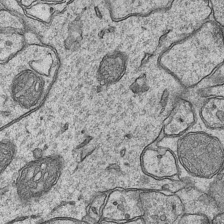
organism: Mouse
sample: CA1 Hippocampus